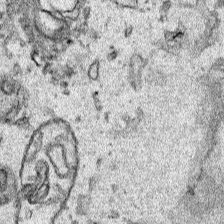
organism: Human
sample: Mitochondria in HCT116 cells